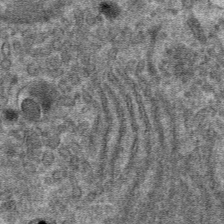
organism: Mouse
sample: Mouse hepatocytes